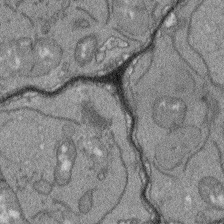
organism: Arabidopsis thaliana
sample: Root tip